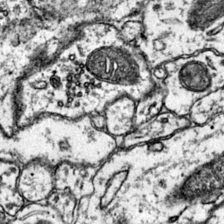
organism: Mouse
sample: Primary visual cortex